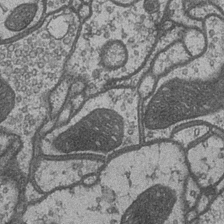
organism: Drosophila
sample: Optic medulla